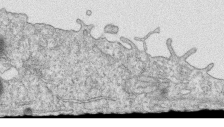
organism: Human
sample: HeLa cell HIV synapse